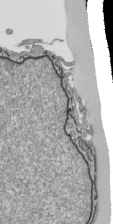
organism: Human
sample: Mitochondria in HCT116 cells